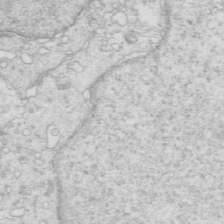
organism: Mouse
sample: Multiciliated cells